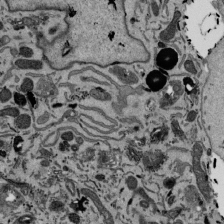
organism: Mouse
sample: ED-1 cell nuclei; centrioles